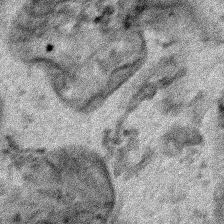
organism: Human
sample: Mitochondria in HCT116 cells